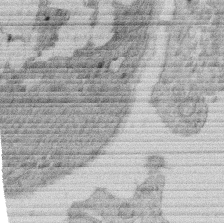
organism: Rat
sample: Salivary granule